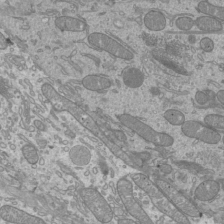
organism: Mouse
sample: Cilia; mouse epididymis